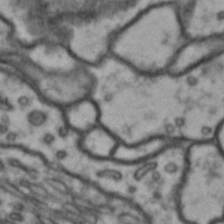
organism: Drosophila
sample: Brain